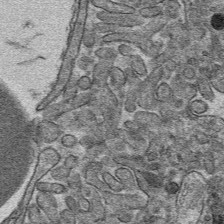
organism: Mouse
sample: Mouse hepatocytes